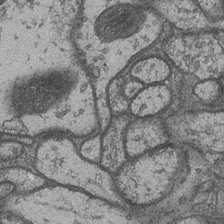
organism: Drosophila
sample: Optic medulla